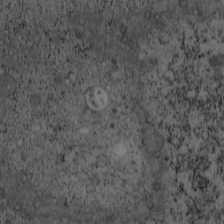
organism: African green monkey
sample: COS-7 cells